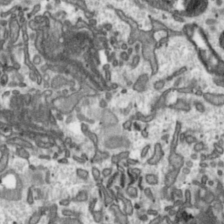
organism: Toxoplasma gondii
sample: Parasites in a vacuole inside a host cell